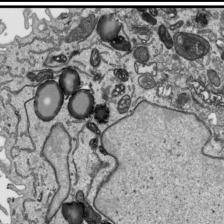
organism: Human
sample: Mitochondria in HCT116 cells